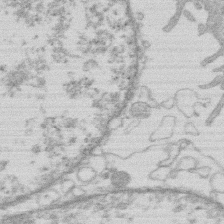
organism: Human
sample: Macrophage cells